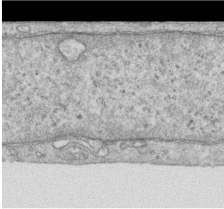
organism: Human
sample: Centriole in RPE cells